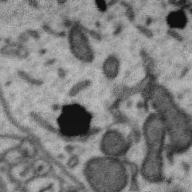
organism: Zebra finch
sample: Brain